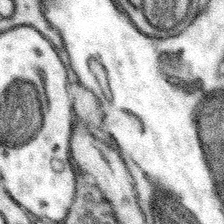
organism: Mouse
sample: Somatosensory cortex neuropil